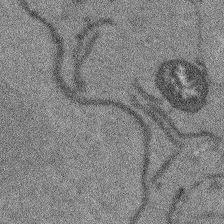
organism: Arabidopsis thaliana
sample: Root tip